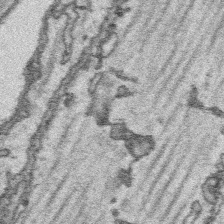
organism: Platynereis dumerilii